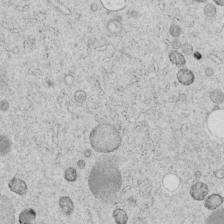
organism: C. elegans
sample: C. elegans embryo early stage